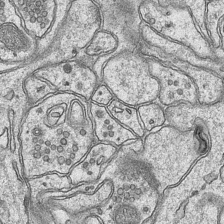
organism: Mouse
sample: CA1 Hippocampus